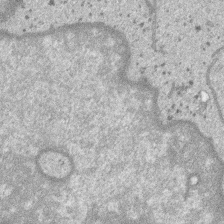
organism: Human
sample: Lung epithelial cells infected with SARS-CoV-2